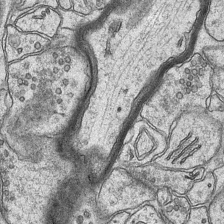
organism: Mouse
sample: CA1 Hippocampus